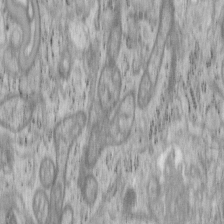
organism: Human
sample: HeLa cells